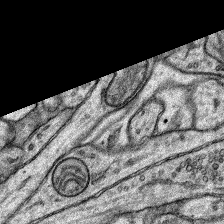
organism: Rat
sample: Hippocampus